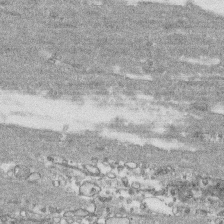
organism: Human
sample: CRL-1474